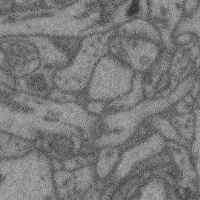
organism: Mouse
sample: Cerebral cortex